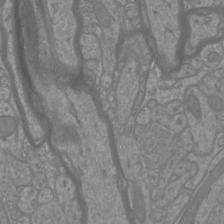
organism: Mouse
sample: Cortical neurons